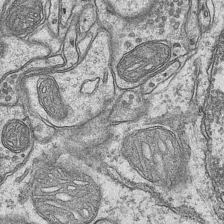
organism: Mouse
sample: CA1 Hippocampus